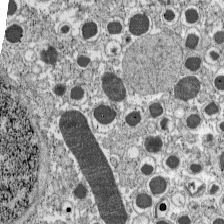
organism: C57BL Mouse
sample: Pancreatic islet